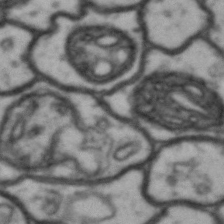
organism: Drosophila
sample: Brain